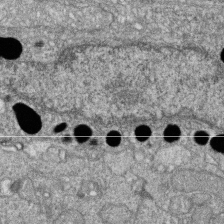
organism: Zebrafish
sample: Cilia; retinal pigment epithelium